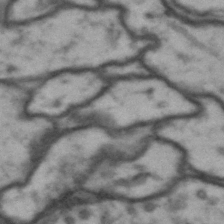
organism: Drosophila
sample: Brain